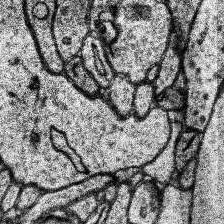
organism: Human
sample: Temporal Lobe